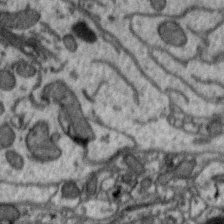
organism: Zebra finch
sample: Brain